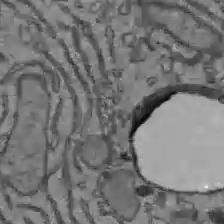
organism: C57BL Mouse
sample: Liver